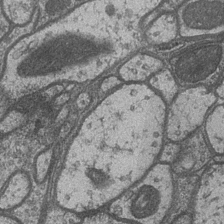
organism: Drosophila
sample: Optic medulla